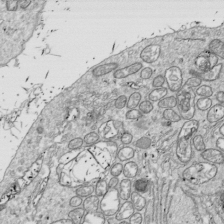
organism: Drosophila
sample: Cell division; meiosis; drosophila spermatocytes